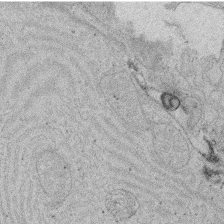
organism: Rat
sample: Salivary granule